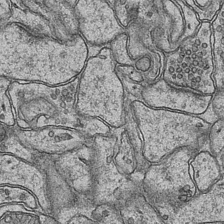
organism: Mouse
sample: CA1 Hippocampus